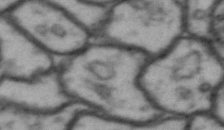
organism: Drosophila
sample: Brain